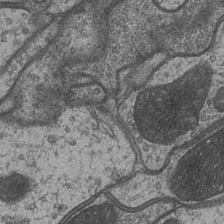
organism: Drosophila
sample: Optic medulla